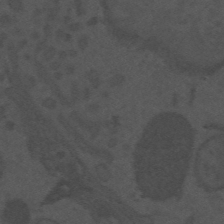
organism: Mouse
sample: Suprachiasmatic nucleus